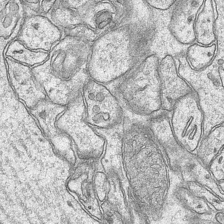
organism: Mouse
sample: CA1 Hippocampus